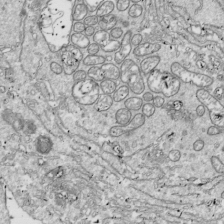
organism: Drosophila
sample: Cell division; meiosis; drosophila spermatocytes